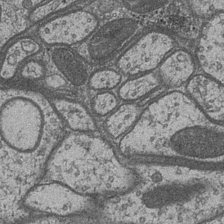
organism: Drosophila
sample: Optic medulla